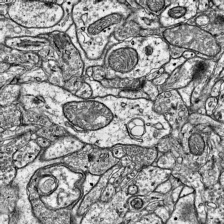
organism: Mouse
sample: Visual Cortex